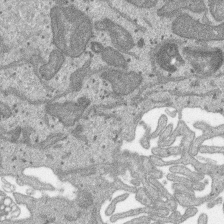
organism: Human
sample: Lung epithelial cells infected with SARS-CoV-2